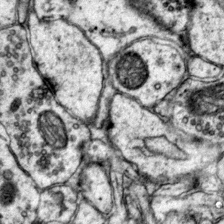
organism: Mouse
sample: Primary visual cortex